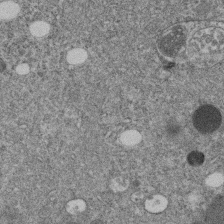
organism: C. elegans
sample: C. elegans embryo early stage